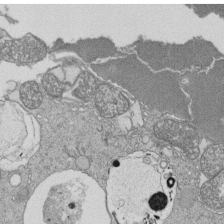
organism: Tetrahymena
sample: Cilia in tetrahymena